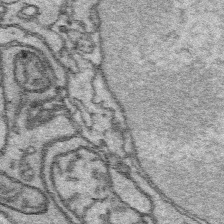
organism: Platynereis dumerilii